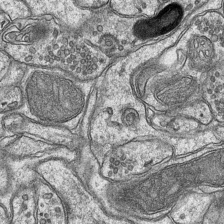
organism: Mouse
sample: CA1 Hippocampus